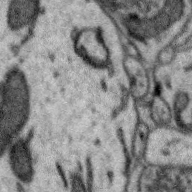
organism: Zebra finch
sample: Brain